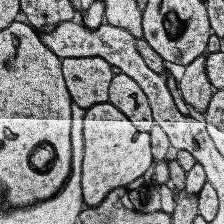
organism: Human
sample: Temporal Lobe